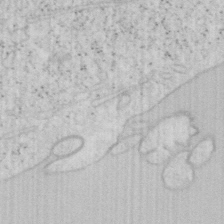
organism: Human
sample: HeLa cells